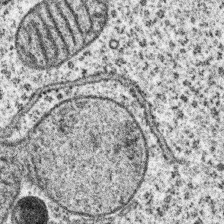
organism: Human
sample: HeLa cells